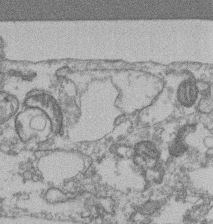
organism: Mouse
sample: T cell stromal cell synapse